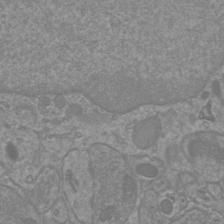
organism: Mouse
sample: Cortical neurons